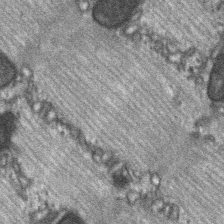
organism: C57BL Mouse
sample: Soleus